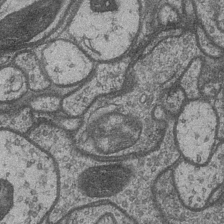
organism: Drosophila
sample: Optic medulla